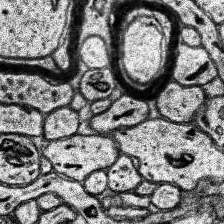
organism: Human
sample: Temporal Lobe